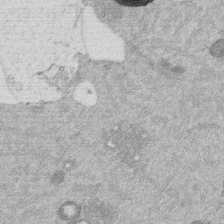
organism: Mouse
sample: Dividing mouse embryo 1 cell stage